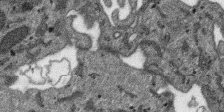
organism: Human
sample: Lung epithelial cells infected with SARS-CoV-2